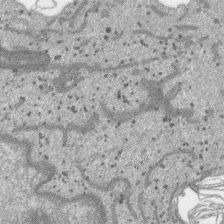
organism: Human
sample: Lung epithelial cells infected with SARS-CoV-2